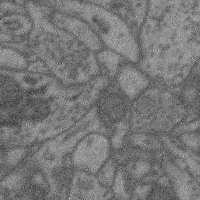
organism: Mouse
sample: Cerebral cortex